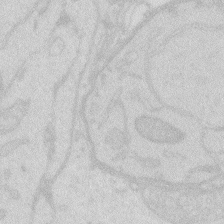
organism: Zebrafish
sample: Macrophage